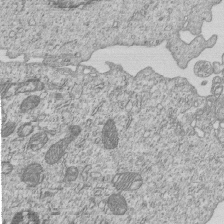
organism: Human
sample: MDA-MB-231 cells